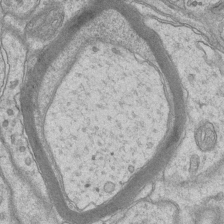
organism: Mouse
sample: CA1 Hippocampus